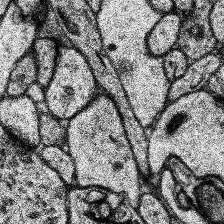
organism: Human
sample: Temporal Lobe